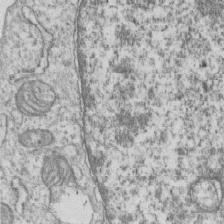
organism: Human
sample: MDA-MB-231 cells